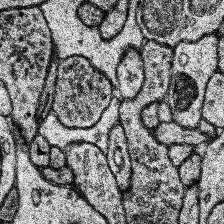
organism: Human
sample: Temporal Lobe